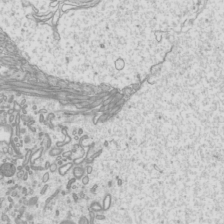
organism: Mouse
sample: Cilia; mouse epididymis